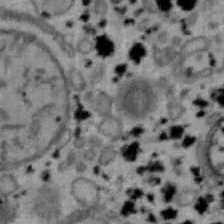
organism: Mouse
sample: Liver